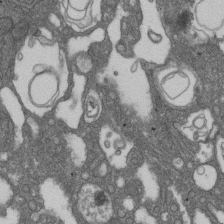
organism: Drosophila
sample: Nephrocyte